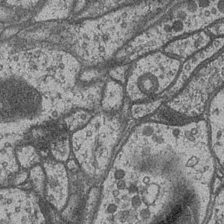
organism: Drosophila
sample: Optic medulla